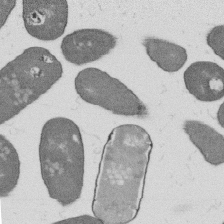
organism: B. subtilis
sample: Bacterial spore